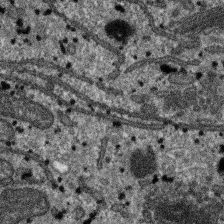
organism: Human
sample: Lung epithelial cells infected with SARS-CoV-2